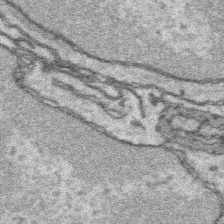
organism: Platynereis dumerilii